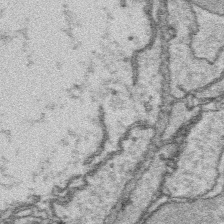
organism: Platynereis dumerilii